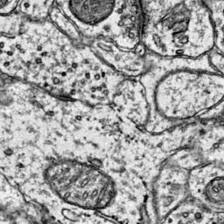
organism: Mouse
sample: Primary visual cortex